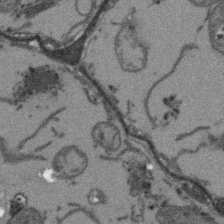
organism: Arabidopsis thaliana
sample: Root tip